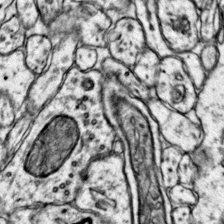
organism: Mouse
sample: Primary visual cortex